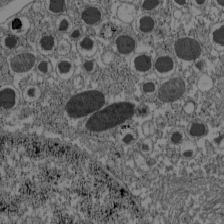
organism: C57BL Mouse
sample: Pancreatic islet